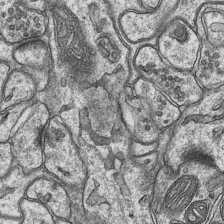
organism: Mouse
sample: CA1 Hippocampus